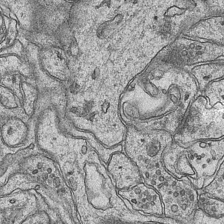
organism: Mouse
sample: CA1 Hippocampus